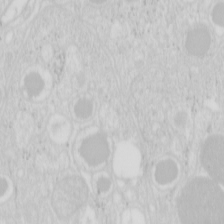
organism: Mouse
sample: Pancreas